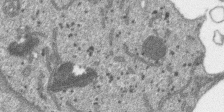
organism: Human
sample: Lung epithelial cells infected with SARS-CoV-2